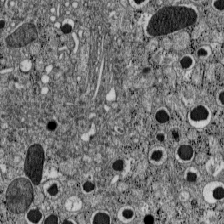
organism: C57BL Mouse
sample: Pancreatic islet